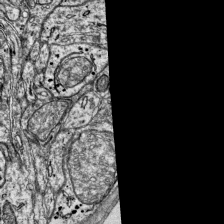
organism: Mouse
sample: Visual Cortex